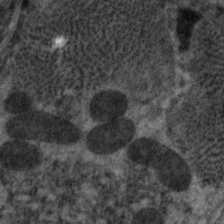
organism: C. elegans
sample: Pharynx